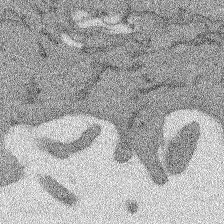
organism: Human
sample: HeLa cells